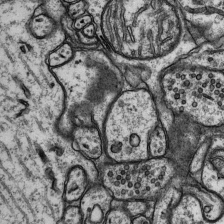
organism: Rat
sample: Hippocampus